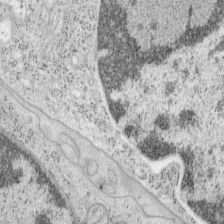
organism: Mouse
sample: OT-I killer T cells with ID8 ovarian cancer cells